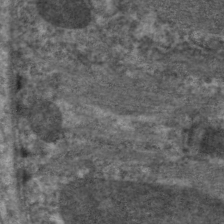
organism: C. elegans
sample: Pharynx